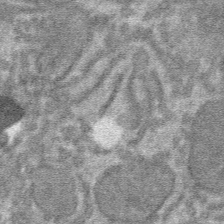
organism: Mouse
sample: Mouse hepatocytes